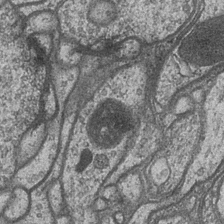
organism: Drosophila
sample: Optic medulla